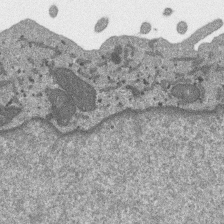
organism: Human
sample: Lung epithelial cells infected with SARS-CoV-2